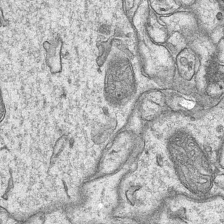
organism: Mouse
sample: CA1 Hippocampus